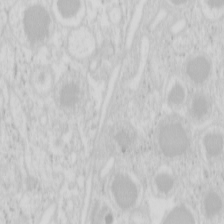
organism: Mouse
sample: Pancreas